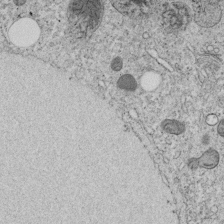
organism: C. elegans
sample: C. elegans embryo early stage